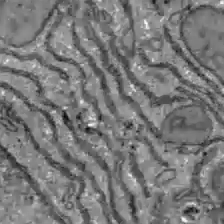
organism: C57BL Mouse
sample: Liver